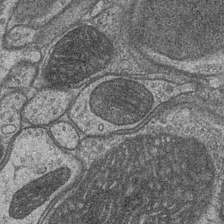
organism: Drosophila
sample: Optic medulla